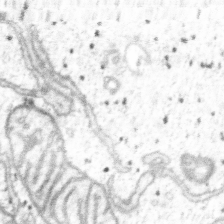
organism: Human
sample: HeLa cells